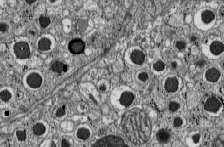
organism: C57BL Mouse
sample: Pancreatic islet